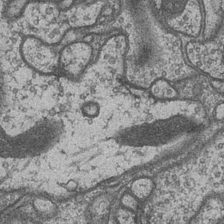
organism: Drosophila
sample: Optic medulla